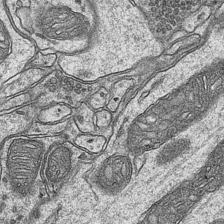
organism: Mouse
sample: CA1 Hippocampus